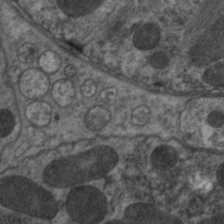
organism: C. elegans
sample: Pharynx